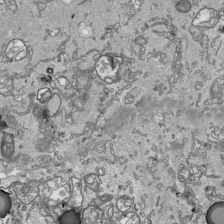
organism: Human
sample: Mitochondria in HCT116 cells